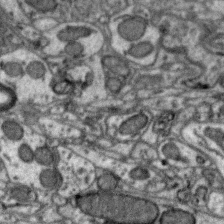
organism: Zebra finch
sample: Brain